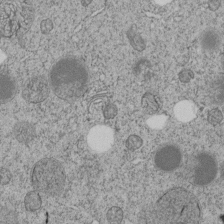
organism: C. elegans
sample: C. elegans embryo early stage